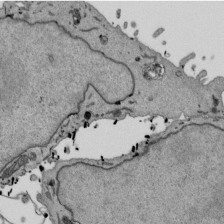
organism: Mouse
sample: ED-1 cell nuclei; centrioles